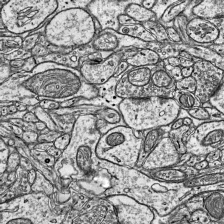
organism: Mouse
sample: Visual Cortex